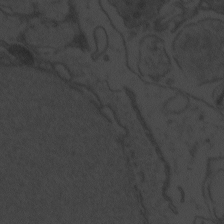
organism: Zebrafish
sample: Macrophage infected with Toxoplasma gondii